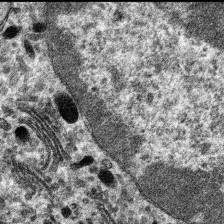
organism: Mouse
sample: Mouse hepatocytes